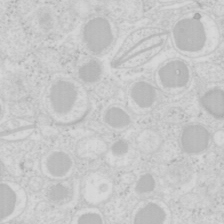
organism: Mouse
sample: Pancreas